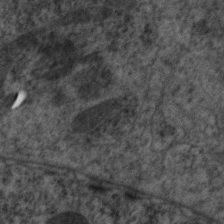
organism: C. elegans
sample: Pharynx